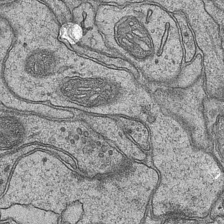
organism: Mouse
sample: CA1 Hippocampus